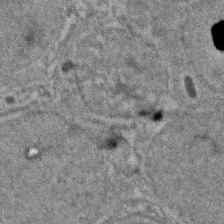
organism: Zebrafish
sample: Zebrafish embryo